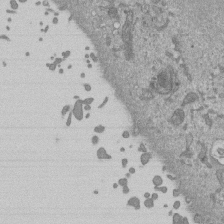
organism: Mouse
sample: ED-1 cell nuclei; centrioles